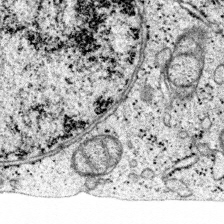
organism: Human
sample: HeLa cells